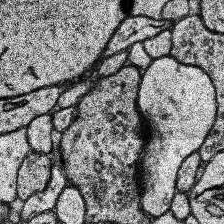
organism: Human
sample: Temporal Lobe